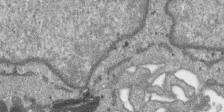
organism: Human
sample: Lung epithelial cells infected with SARS-CoV-2